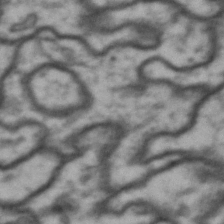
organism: Drosophila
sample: Brain